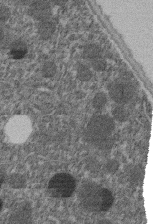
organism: C. elegans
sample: C. elegans embryo early stage